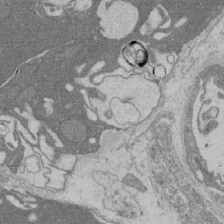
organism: Rat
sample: Salivary granule